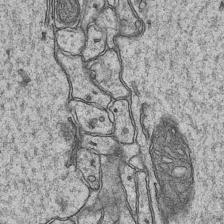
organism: Mouse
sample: CA1 Hippocampus